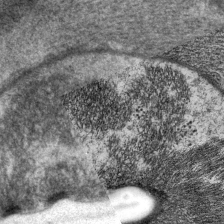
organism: P. pacificus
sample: Pharynx